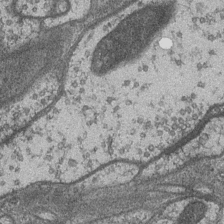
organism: Drosophila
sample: Optic medulla